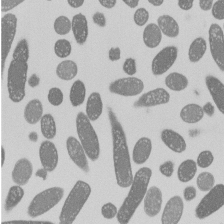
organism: E. coli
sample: Bacterial nucleoid